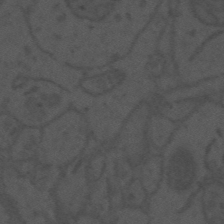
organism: Mouse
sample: Suprachiasmatic nucleus